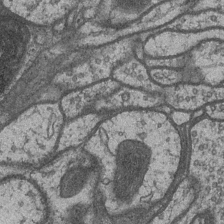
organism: Drosophila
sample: Optic medulla